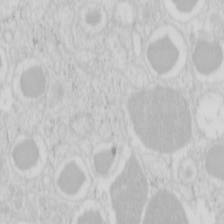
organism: Mouse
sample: Pancreas